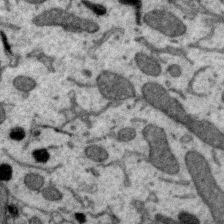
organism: Zebra finch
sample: Brain